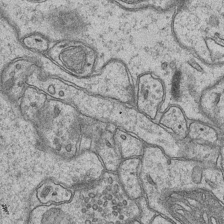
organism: Mouse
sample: CA1 Hippocampus